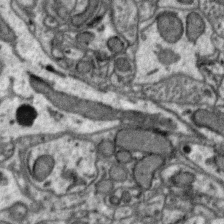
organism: Zebra finch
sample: Brain